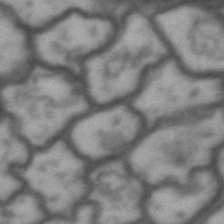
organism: Drosophila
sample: Brain